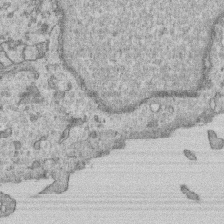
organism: Human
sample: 1205lu cells